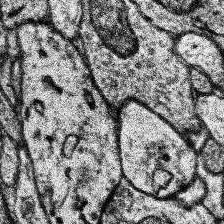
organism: Human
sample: Temporal Lobe